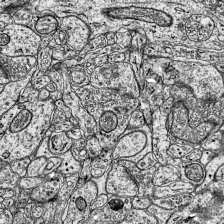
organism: Mouse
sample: Visual Cortex